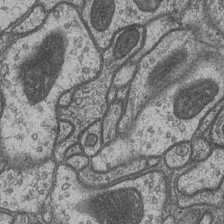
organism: Drosophila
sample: Optic medulla